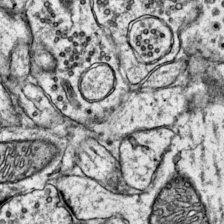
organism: Mouse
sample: Primary visual cortex